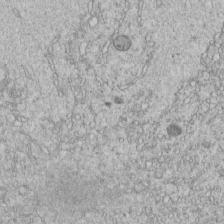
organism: C. elegans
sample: C. elegans embryo early stage